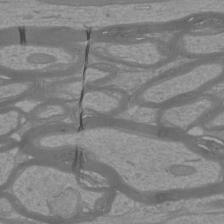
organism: Mouse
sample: Cortical neurons